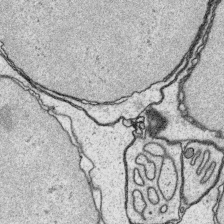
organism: Platynereis dumerilii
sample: Parapodia